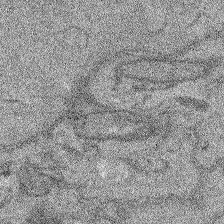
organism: Human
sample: HeLa cells